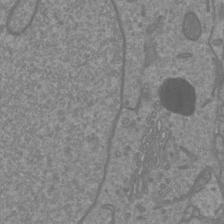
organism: Mouse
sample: Cortical neurons